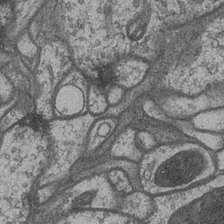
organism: Drosophila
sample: Optic medulla